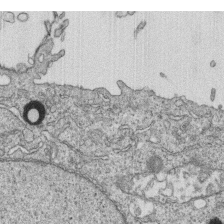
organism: Human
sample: HeLa cell HIV synapse